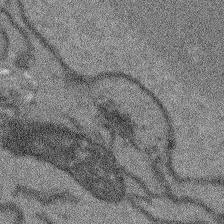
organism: Arabidopsis thaliana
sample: Root tip